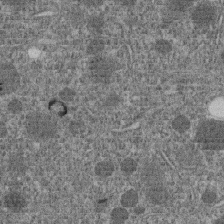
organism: C. elegans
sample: C. elegans embryo early stage